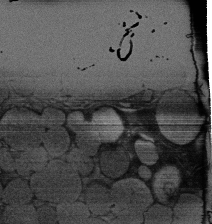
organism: Rat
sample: Salivary granule